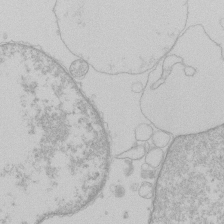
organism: Human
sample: Macrophage cells